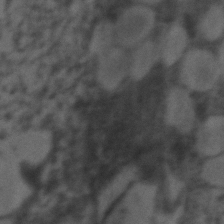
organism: Zebrafish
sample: Zebrafish embryo